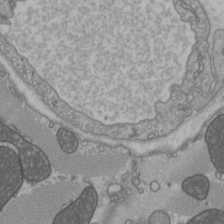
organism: C57BL Mouse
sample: Heart